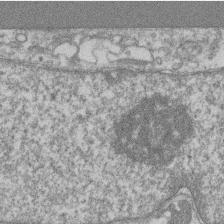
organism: Mouse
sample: T cell stromal cell synapse